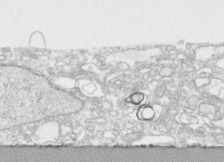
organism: Human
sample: CRL-1474